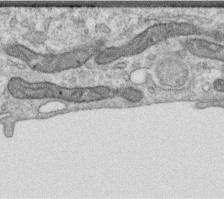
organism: Human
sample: Centriole in RPE cells